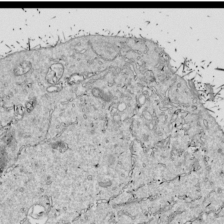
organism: Drosophila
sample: Cell division; meiosis; drosophila spermatocytes